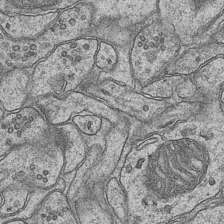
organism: Mouse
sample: CA1 Hippocampus